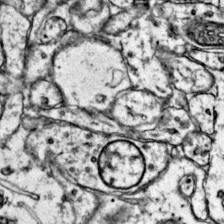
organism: Mouse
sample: Primary visual cortex